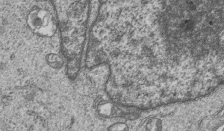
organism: Human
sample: MDA-MB-231 cells